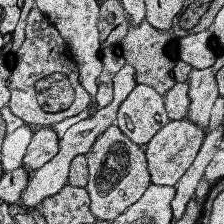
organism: Human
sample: Temporal Lobe